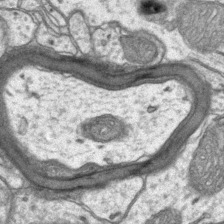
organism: Mouse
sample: CA1 Hippocampus